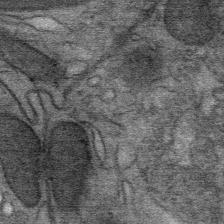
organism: Mouse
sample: Mouse Salivary gland